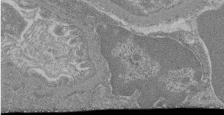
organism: Mouse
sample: Glomerulus